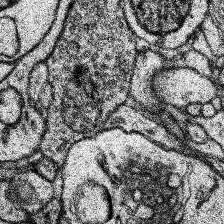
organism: Human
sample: Temporal Lobe